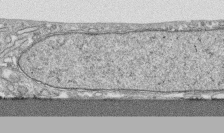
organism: Human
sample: CRL-1474